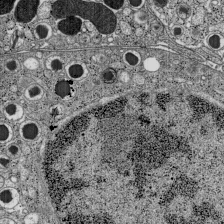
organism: C57BL Mouse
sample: Pancreatic islet